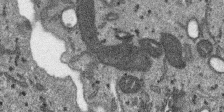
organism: Human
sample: Lung epithelial cells infected with SARS-CoV-2